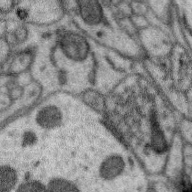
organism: Zebra finch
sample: Brain